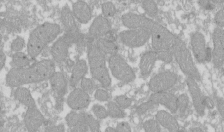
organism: Xenopus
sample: Cilia; centrioles in frog embryo cells